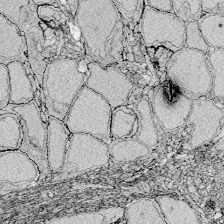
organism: Zebrafish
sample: Whole-Brain